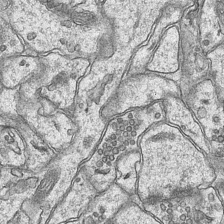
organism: Mouse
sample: CA1 Hippocampus